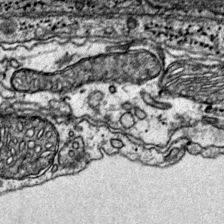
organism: Mouse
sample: Primary visual cortex